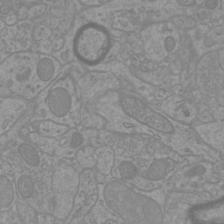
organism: Mouse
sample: Cortical neurons